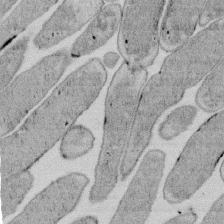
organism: E. coli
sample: Bacterial nucleoid